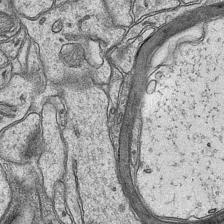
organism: Mouse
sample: CA1 Hippocampus